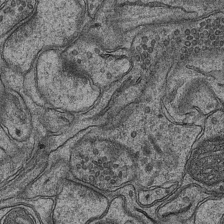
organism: Mouse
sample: CA1 Hippocampus